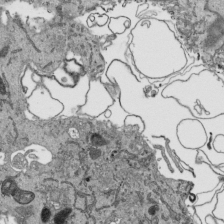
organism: Human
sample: Mitochondria in HCT116 cells